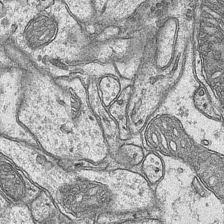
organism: Mouse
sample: CA1 Hippocampus